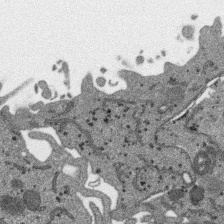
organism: Human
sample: Lung epithelial cells infected with SARS-CoV-2